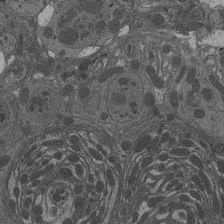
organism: Drosophila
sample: Antenna